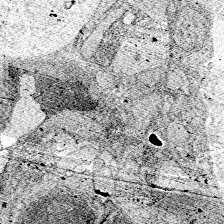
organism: Zebrafish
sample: Whole-Brain